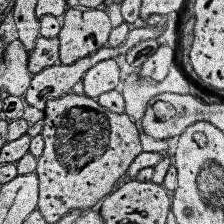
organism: Human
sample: Temporal Lobe